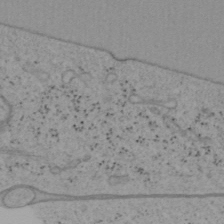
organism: Human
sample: HeLa cells